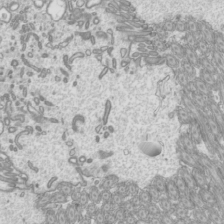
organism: Mouse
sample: Cilia; mouse epididymis